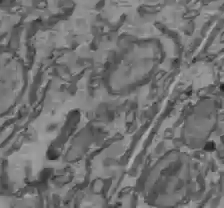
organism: C57BL Mouse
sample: Liver